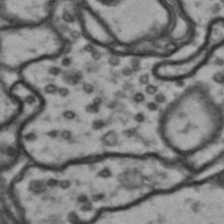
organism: Drosophila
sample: Brain